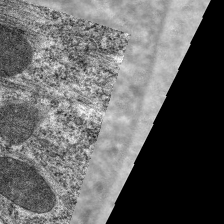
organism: C. elegans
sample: Pharynx